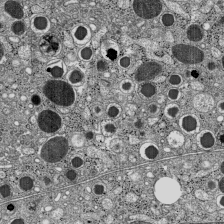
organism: C57BL Mouse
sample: Pancreatic islet